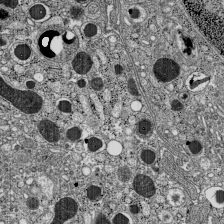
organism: C57BL Mouse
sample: Pancreatic islet